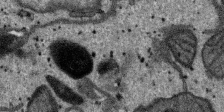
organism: Human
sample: Lung epithelial cells, uninfected (mock) control